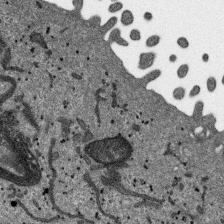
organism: Human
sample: Lung epithelial cells, uninfected (mock) control